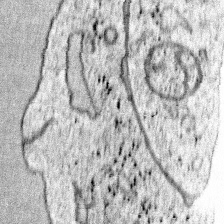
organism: Human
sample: HeLa cells